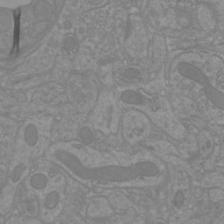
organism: Mouse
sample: Cortical neurons